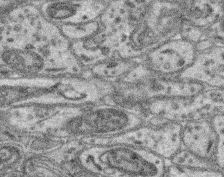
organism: Mouse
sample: Retina